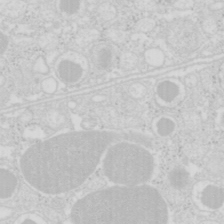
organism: Mouse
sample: Pancreas